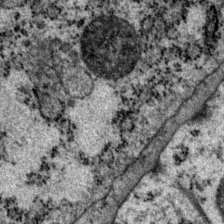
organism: P. pacificus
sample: Pharynx